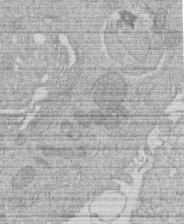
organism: Human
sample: Macrophage cells